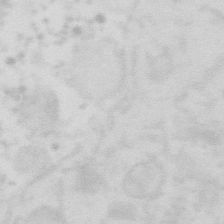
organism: Human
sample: HeLa cells